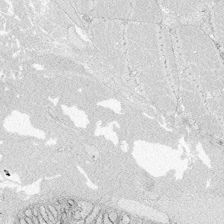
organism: Zebrafish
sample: Whole-Brain